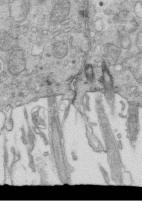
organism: Mouse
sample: Multiciliated cells